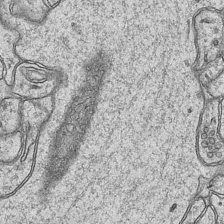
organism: Mouse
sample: CA1 Hippocampus